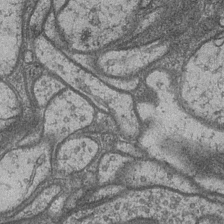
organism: Drosophila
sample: Optic medulla